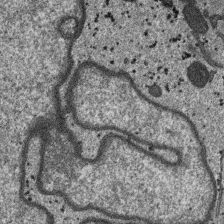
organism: Human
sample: Lung epithelial cells infected with SARS-CoV-2